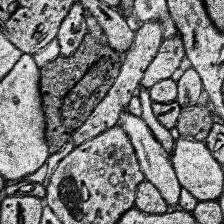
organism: Human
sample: Temporal Lobe